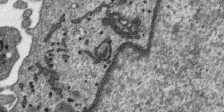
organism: Human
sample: Lung epithelial cells infected with SARS-CoV-2